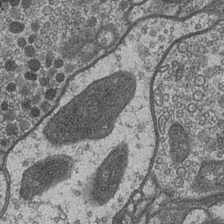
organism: Drosophila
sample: Optic medulla